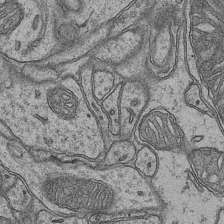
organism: Mouse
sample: CA1 Hippocampus